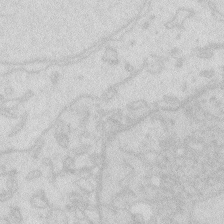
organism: Zebrafish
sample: Macrophage